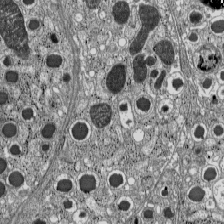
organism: C57BL Mouse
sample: Pancreatic islet